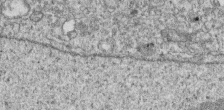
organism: Human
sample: HeLa cell HIV synapse